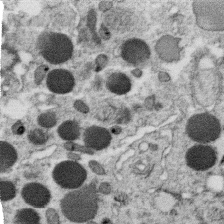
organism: C. elegans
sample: C. elegans oocyte; sperm cells